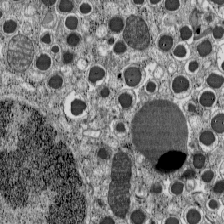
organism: C57BL Mouse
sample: Pancreatic islet